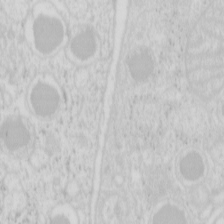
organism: Mouse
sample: Pancreas